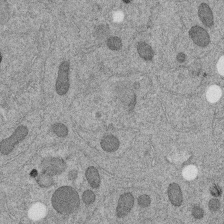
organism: C. elegans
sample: C. elegans embryo early stage